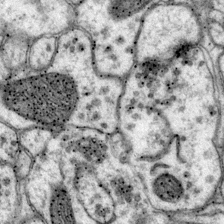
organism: Mouse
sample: Primary visual cortex